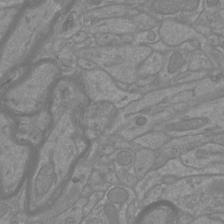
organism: Mouse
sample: Cortical neurons